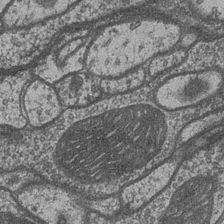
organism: Drosophila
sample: Optic medulla